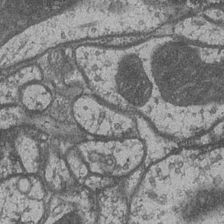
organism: Drosophila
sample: Optic medulla